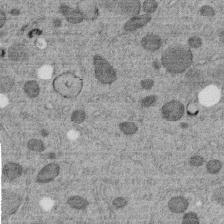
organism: C. elegans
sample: C. elegans embryo early stage